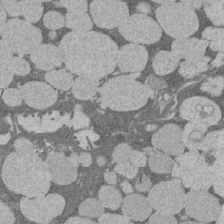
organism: Rat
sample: Salivary granule